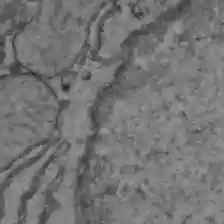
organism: C57BL Mouse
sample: Liver